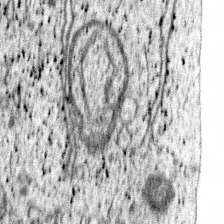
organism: Human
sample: HeLa cells